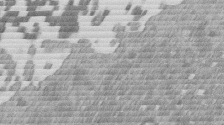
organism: Mouse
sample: Dividing mouse embryo 1 cell stage